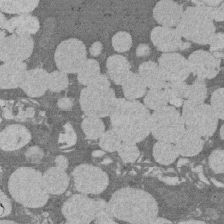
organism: Rat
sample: Salivary granule